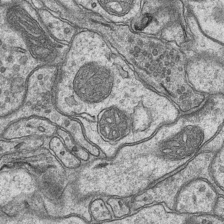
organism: Mouse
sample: CA1 Hippocampus